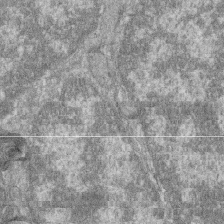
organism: Zebrafish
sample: Cilia; retinal pigment epithelium